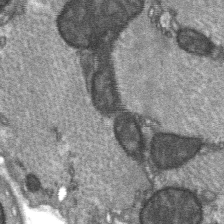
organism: C57BL Mouse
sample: Soleus